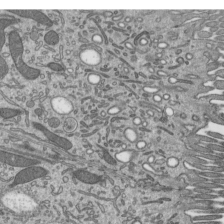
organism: Mouse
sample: Mouse epididymis efferent ductule cilia